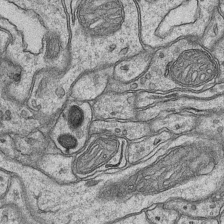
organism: Mouse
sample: CA1 Hippocampus